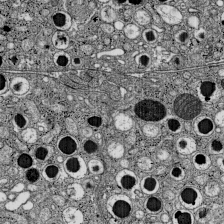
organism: C57BL Mouse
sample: Pancreatic islet